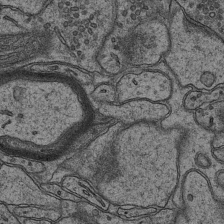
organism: Mouse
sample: CA1 Hippocampus